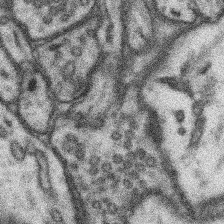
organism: Mouse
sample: Somatosensory cortex neuropil